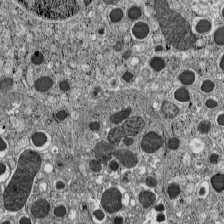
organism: C57BL Mouse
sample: Pancreatic islet